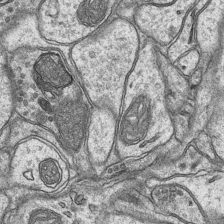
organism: Mouse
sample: CA1 Hippocampus